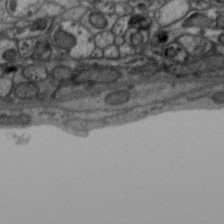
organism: Zebra finch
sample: Brain